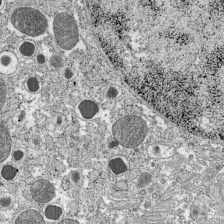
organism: C57BL Mouse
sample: Pancreatic islet